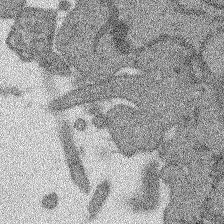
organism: Human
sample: HeLa cells